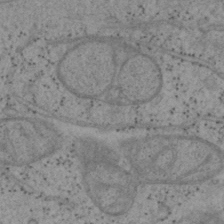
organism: Human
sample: HeLa cells